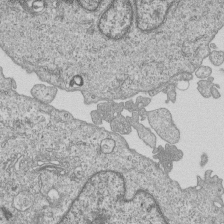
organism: Human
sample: MDA-MB-231 cells